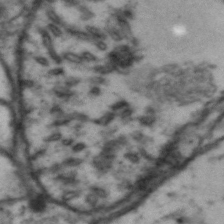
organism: Drosophila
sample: Brain